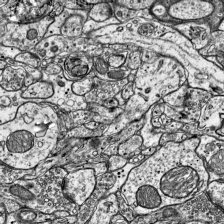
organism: Mouse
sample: Visual Cortex